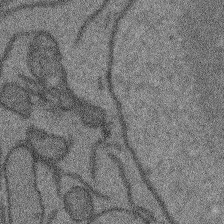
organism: Arabidopsis thaliana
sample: Root tip